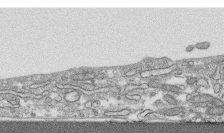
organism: Human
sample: CRL-1474